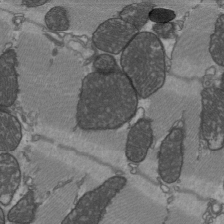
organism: C57BL Mouse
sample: Heart